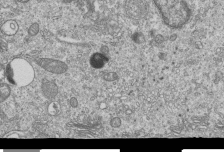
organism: Human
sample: MDA-MB-231 cells